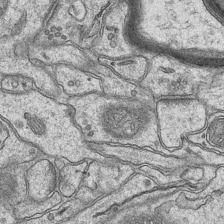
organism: Mouse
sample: CA1 Hippocampus